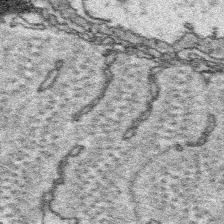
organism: Platynereis dumerilii